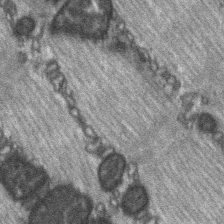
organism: C57BL Mouse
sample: Soleus